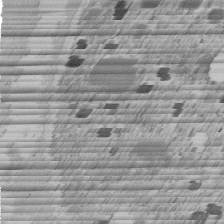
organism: C. elegans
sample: C. elegans embryo early stage